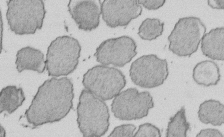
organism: E. coli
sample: Bacterial nucleoid